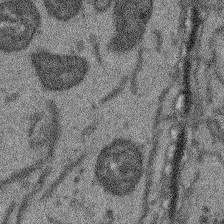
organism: Arabidopsis thaliana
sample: Root tip